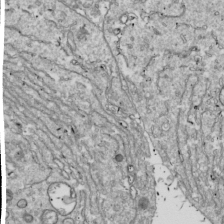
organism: Drosophila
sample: Cell division; meiosis; drosophila spermatocytes